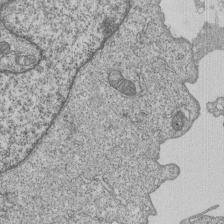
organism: Human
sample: MDA-MB-231 cells